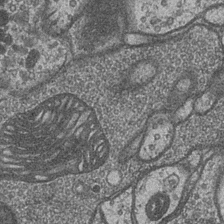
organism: Drosophila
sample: Optic medulla